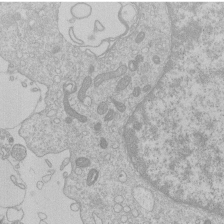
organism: Human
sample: Macrophage cells